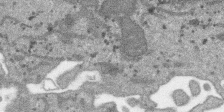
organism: Human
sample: Lung epithelial cells infected with SARS-CoV-2